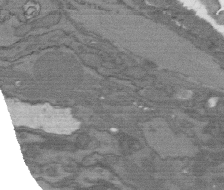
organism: C. elegans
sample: AFD neurons C. elegans